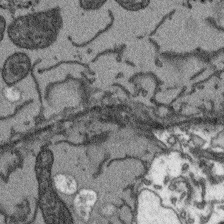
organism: Arabidopsis thaliana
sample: Root tip